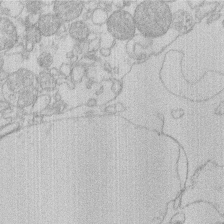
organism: Human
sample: Macrophage cells